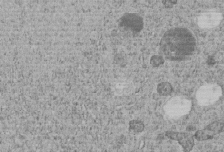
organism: C. elegans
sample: C. elegans embryo early stage